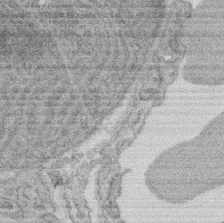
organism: Rat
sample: Salivary granule